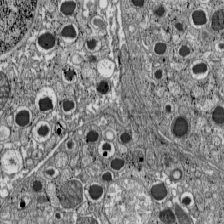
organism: C57BL Mouse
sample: Pancreatic islet